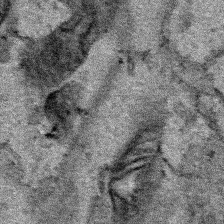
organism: Human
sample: Mitochondria in HCT116 cells